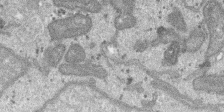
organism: Human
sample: Lung epithelial cells infected with SARS-CoV-2